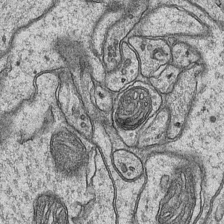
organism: Mouse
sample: CA1 Hippocampus